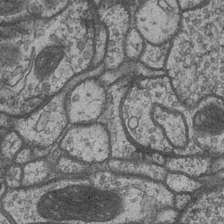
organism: Drosophila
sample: Optic medulla